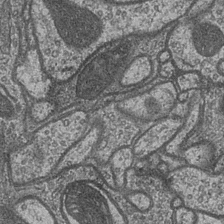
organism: Drosophila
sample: Optic medulla